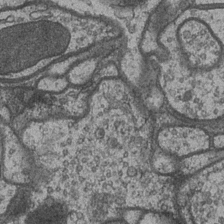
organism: Drosophila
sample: Optic medulla